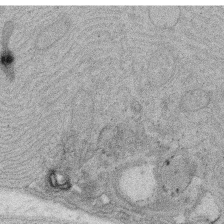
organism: Rat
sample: Salivary granule